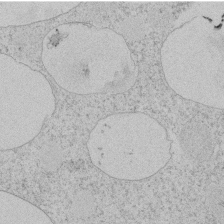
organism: Tetrahymena